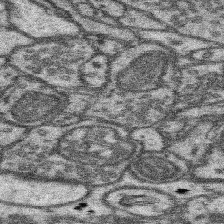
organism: Mouse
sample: Somatosensory cortex neuropil